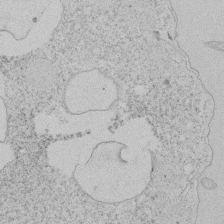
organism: Tetrahymena